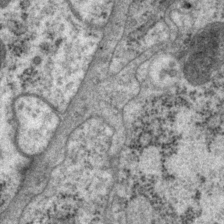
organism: P. pacificus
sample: Pharynx